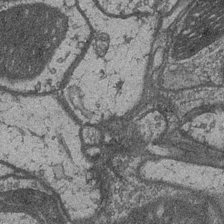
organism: Drosophila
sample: Optic medulla